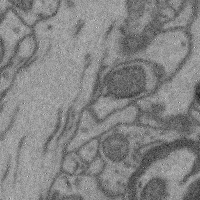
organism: Mouse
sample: Cerebral cortex